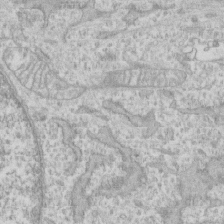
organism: Human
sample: CRL-1474